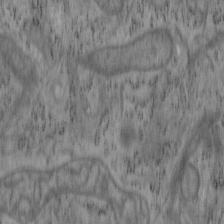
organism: Human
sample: HeLa cells